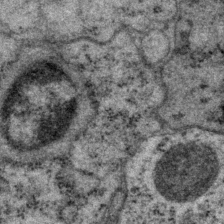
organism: P. pacificus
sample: Pharynx